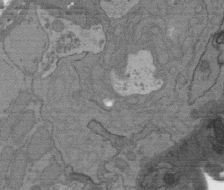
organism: C. elegans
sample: AFD neurons C. elegans